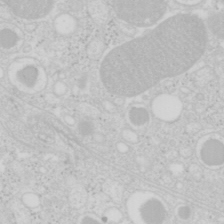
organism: Mouse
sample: Pancreas